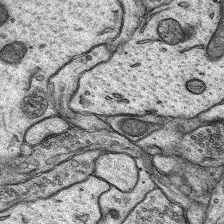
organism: Rat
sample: Hippocampus